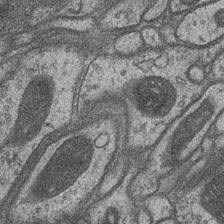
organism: Drosophila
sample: Optic medulla